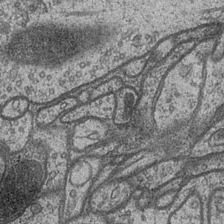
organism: Drosophila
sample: Optic medulla